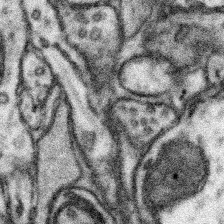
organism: Mouse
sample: Somatosensory cortex neuropil